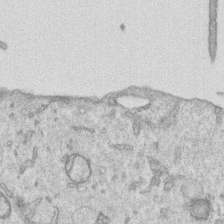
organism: Human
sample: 1205lu cells